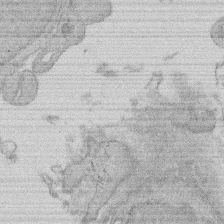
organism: Rat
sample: Salivary granule